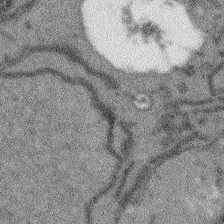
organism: Arabidopsis thaliana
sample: Root tip